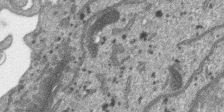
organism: Human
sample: Lung epithelial cells infected with SARS-CoV-2